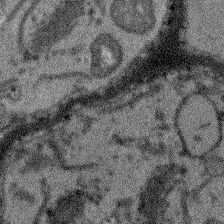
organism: Arabidopsis thaliana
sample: Root tip